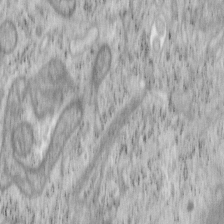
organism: Human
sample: HeLa cells